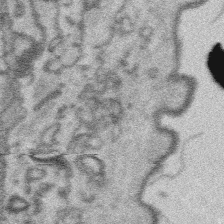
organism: Platynereis dumerilii